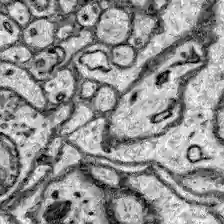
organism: Zebrafish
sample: Brain